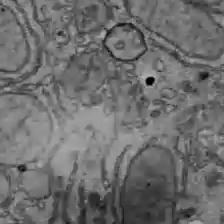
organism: C57BL Mouse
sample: Liver